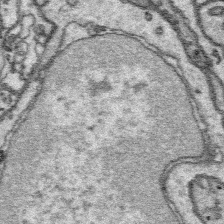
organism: Platynereis dumerilii